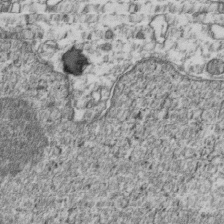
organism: Human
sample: Activated Jurkat CD4+ T cells